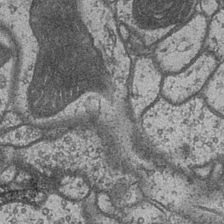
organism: Drosophila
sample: Optic medulla